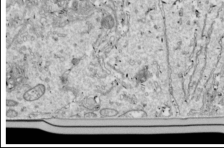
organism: Drosophila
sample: Cell division; meiosis; drosophila spermatocytes